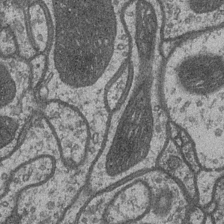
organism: Drosophila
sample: Optic medulla